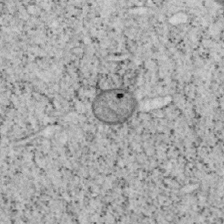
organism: Mouse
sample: OT-I killer T cells with ID8 ovarian cancer cells